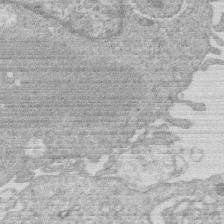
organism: Human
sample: Macrophage cells